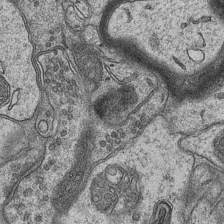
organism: Mouse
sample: CA1 Hippocampus